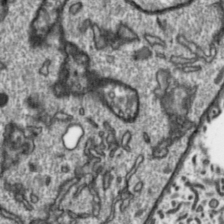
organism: Toxoplasma gondii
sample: Parasites in a vacuole inside a host cell